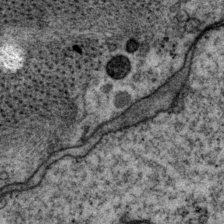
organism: P. pacificus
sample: Pharynx